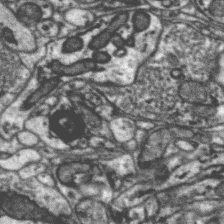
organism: Zebra finch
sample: Brain